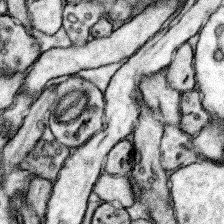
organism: Mouse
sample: Somatosensory cortex neuropil